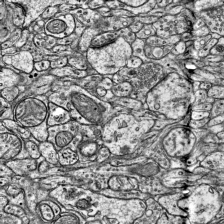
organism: Mouse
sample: Visual Cortex